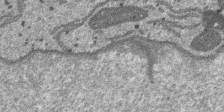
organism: Human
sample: Lung epithelial cells infected with SARS-CoV-2